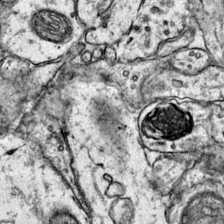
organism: Mouse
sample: Primary visual cortex